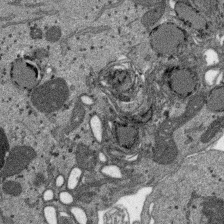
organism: Human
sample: Lung epithelial cells infected with SARS-CoV-2